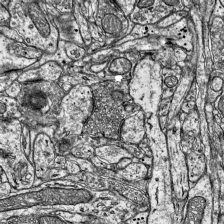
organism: Mouse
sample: Visual Cortex